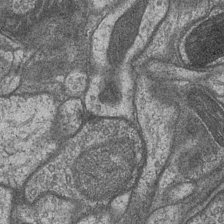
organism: Drosophila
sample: Optic medulla